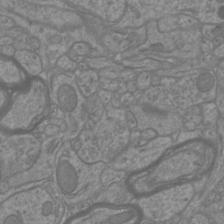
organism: Mouse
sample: Cortical neurons